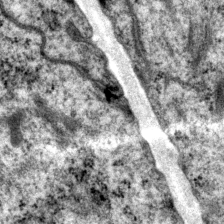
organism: P. pacificus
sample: Pharynx